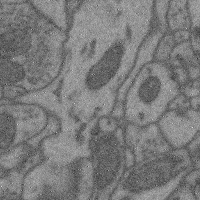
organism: Mouse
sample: Cerebral cortex